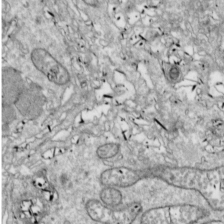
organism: Drosophila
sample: Cell division; meiosis; drosophila spermatocytes